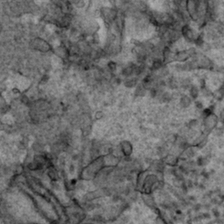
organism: Human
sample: Mitochondria in HCT116 cells